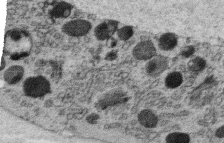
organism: C. elegans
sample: C. elegans oocyte; sperm cells